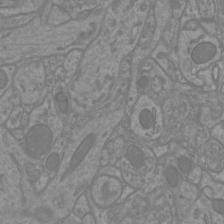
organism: Mouse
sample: Cortical neurons